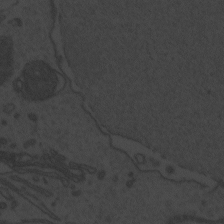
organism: Zebrafish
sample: Macrophage infected with Toxoplasma gondii